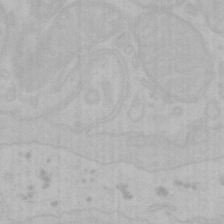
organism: Mouse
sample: Choroid plexus